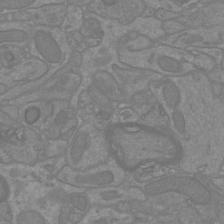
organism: Mouse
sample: Cortical neurons